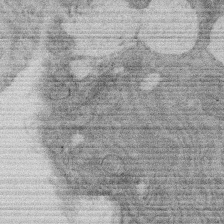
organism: Rat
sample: Salivary granule